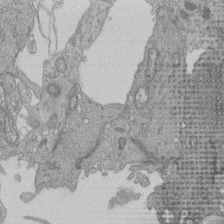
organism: Human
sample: Retinal organoid Rod and Cone cells